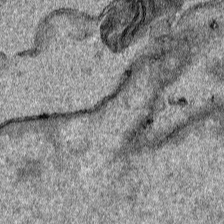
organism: Human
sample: Mitochondria in HCT116 cells